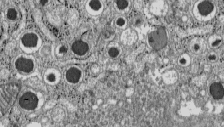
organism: C57BL Mouse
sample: Pancreatic islet